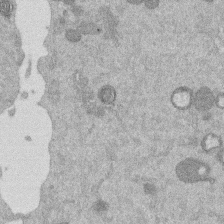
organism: Mouse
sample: Dividing mouse embryo 1 cell stage